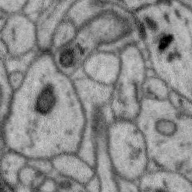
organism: Zebra finch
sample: Brain